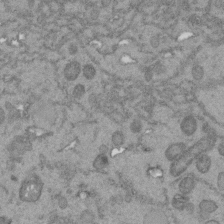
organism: C. elegans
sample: C. elegans embryo early stage